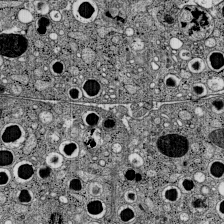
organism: C57BL Mouse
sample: Pancreatic islet